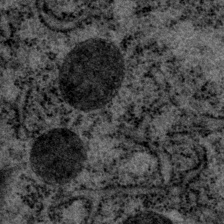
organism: P. pacificus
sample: Pharynx